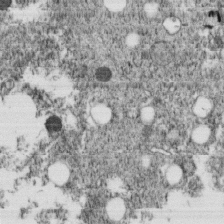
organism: C. elegans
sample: C. elegans embryo early stage